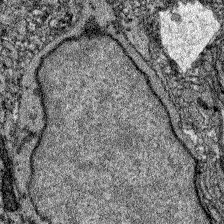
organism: Zebrafish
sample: Larval olfactory bulb